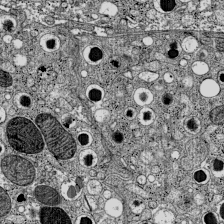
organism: C57BL Mouse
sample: Pancreatic islet